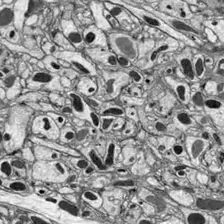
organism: Drosophila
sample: Optic lobe